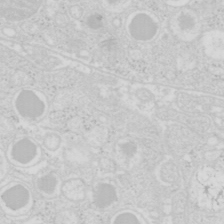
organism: Mouse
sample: Pancreas